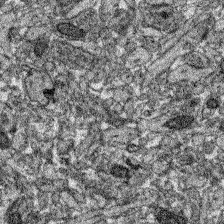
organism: Zebrafish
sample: Larval olfactory bulb